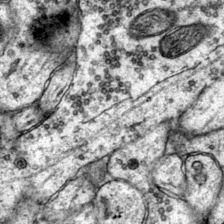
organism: Mouse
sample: Primary visual cortex